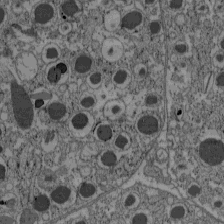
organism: C57BL Mouse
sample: Pancreatic islet